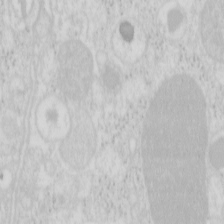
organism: Mouse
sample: Pancreas